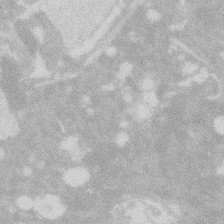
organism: Zebrafish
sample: Macrophage